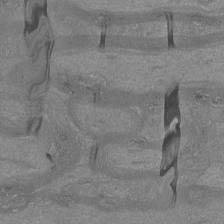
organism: Mouse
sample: Cortical neurons